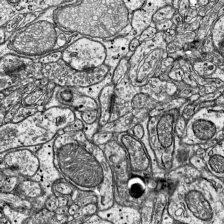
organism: Mouse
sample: Visual Cortex